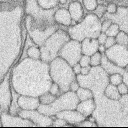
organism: Rabbit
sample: Retina